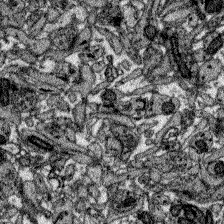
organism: Zebrafish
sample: Larval olfactory bulb